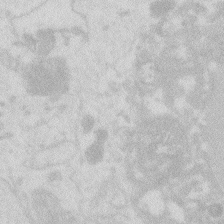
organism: Zebrafish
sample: Macrophage